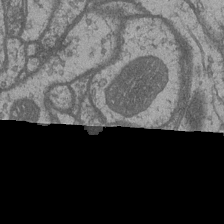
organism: Drosophila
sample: Optic medulla